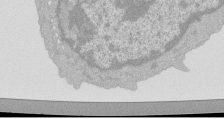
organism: Mouse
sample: Activated Pmel transgenic CD8+ T Cells